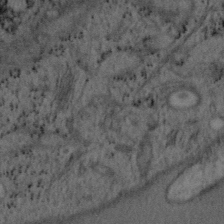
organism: Human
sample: HeLa cells